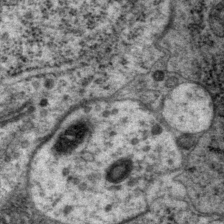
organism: P. pacificus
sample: Pharynx